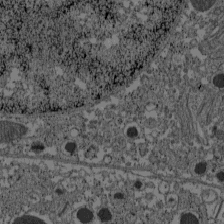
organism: C57BL Mouse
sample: Pancreatic islet